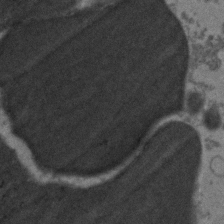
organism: Zebrafish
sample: Zebrafish embryo